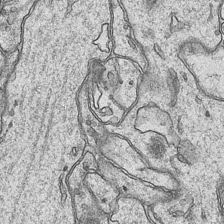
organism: Mouse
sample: CA1 Hippocampus